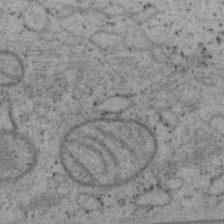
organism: Human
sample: HeLa cells